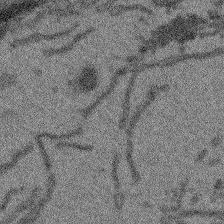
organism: Arabidopsis thaliana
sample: Root tip